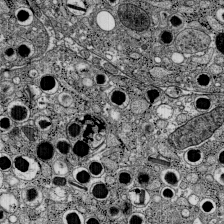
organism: C57BL Mouse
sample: Pancreatic islet